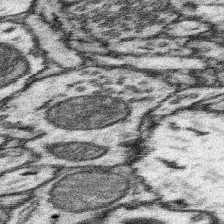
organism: Mouse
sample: Somatosensory cortex neuropil